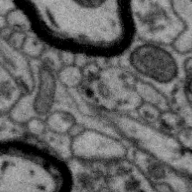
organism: Zebra finch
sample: Brain